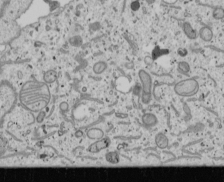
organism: Human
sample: Mitochondria in U2OS cells